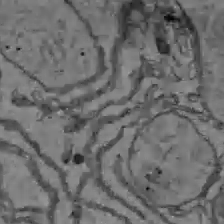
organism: C57BL Mouse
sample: Liver